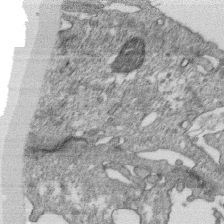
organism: African green monkey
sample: Vero E6 cells infected with SARS-CoV-2